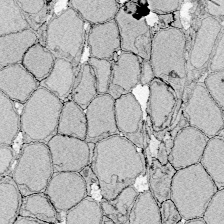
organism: Zebrafish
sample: Whole-Brain